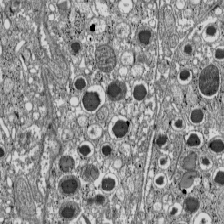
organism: C57BL Mouse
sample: Pancreatic islet